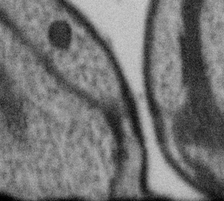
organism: Gemmata obscuriglobus